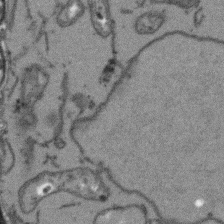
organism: Arabidopsis thaliana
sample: Root tip